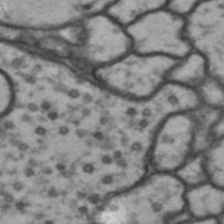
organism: Drosophila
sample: Brain